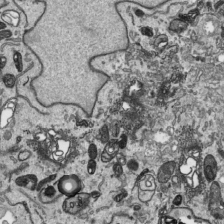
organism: Human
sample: Mitochondria in HCT116 cells